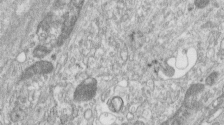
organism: Human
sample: Centriole in RPE cells